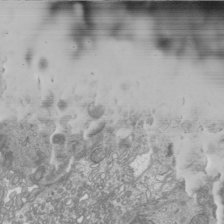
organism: Mouse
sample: Cilia; mouse epididymis